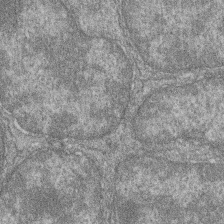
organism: Zebrafish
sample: Cilia; retinal pigment epithelium